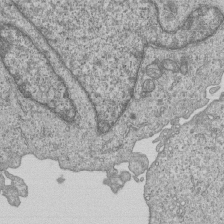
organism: Human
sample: MDA-MB-231 cells